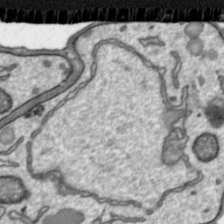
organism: Toxoplasma gondii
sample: Parasites in a vacuole inside a host cell